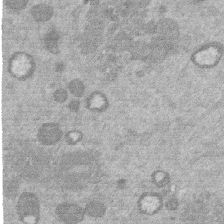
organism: Mouse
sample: Dividing mouse embryo 1 cell stage